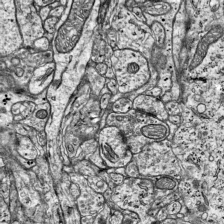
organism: Mouse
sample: Visual Cortex